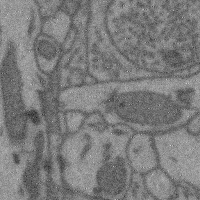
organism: Mouse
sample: Cerebral cortex